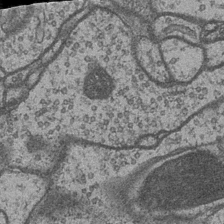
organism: Drosophila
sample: Optic medulla